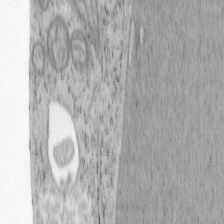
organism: Human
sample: HeLa cells